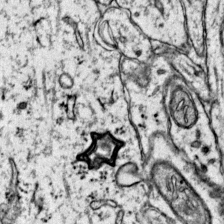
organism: Mouse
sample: Primary visual cortex